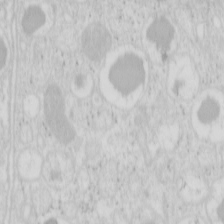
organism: Mouse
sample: Pancreas